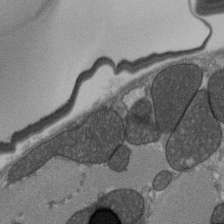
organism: C57BL Mouse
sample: Heart